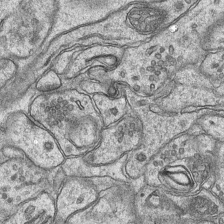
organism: Mouse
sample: CA1 Hippocampus